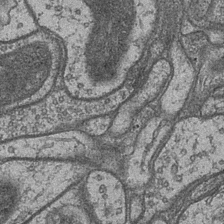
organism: Drosophila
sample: Optic medulla